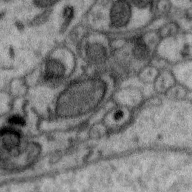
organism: Zebra finch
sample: Brain